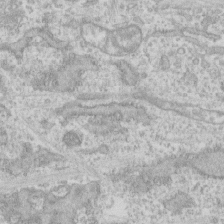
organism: Human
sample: CRL-1474